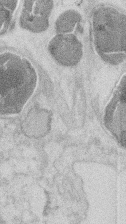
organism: Mouse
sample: T cell stromal cell synapse